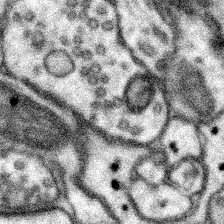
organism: Mouse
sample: Somatosensory cortex neuropil